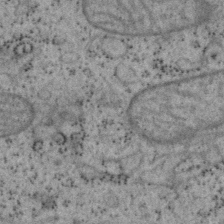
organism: Human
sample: HeLa cells